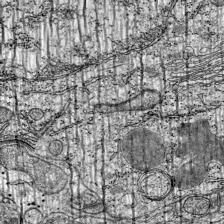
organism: Mouse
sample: Visual Cortex